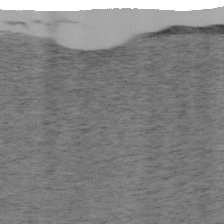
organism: Mouse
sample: OT-I killer T cells with ID8 ovarian cancer cells